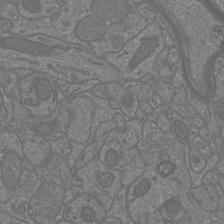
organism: Mouse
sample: Cortical neurons